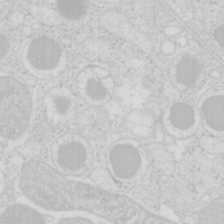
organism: Mouse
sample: Pancreas